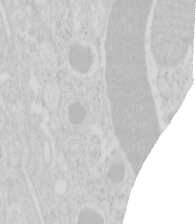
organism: Mouse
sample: Pancreas